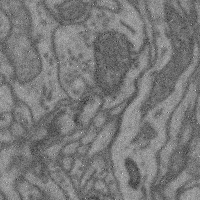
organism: Mouse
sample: Cerebral cortex